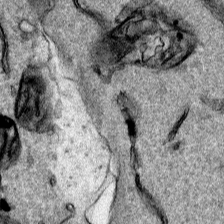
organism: Human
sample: Mitochondria in HCT116 cells